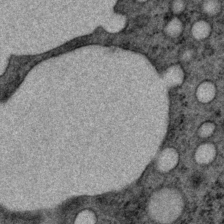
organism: P. pacificus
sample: Pharynx